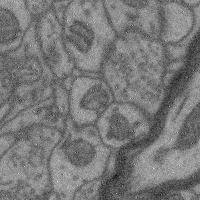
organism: Mouse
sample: Cerebral cortex